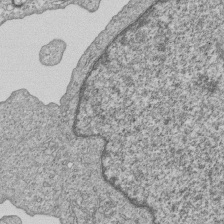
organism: Human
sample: MDA-MB-231 cells